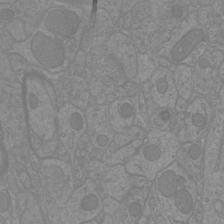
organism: Mouse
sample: Cortical neurons